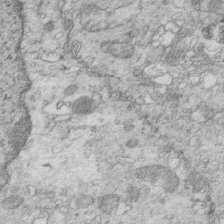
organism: Mouse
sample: Multiciliated cells